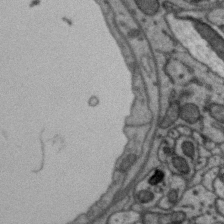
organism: Zebra finch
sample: Brain